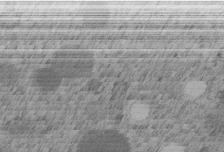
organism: C. elegans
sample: C. elegans embryo early stage